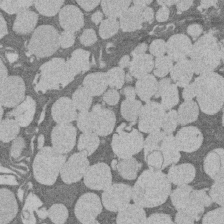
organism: Rat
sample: Salivary granule